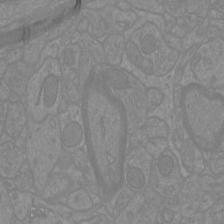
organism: Mouse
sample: Cortical neurons